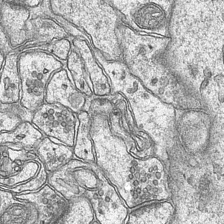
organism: Mouse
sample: CA1 Hippocampus